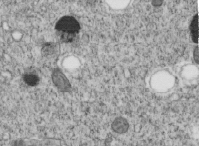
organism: C. elegans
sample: C. elegans embryo early stage